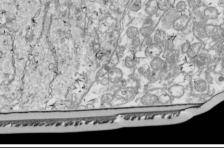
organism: Drosophila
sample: Cell division; meiosis; drosophila spermatocytes